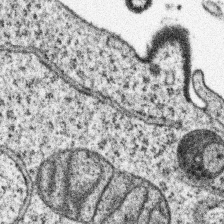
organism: Human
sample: HeLa cells